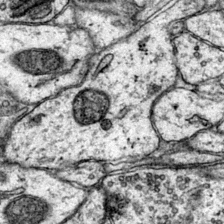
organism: Mouse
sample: Primary visual cortex